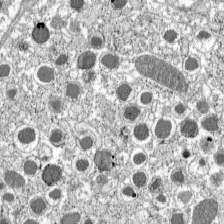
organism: C57BL Mouse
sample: Pancreatic islet